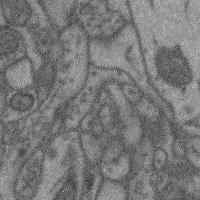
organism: Mouse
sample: Cerebral cortex